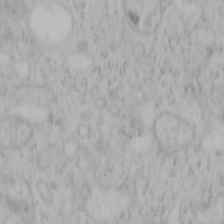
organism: Mouse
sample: OT-I killer T cells with ID8 ovarian cancer cells